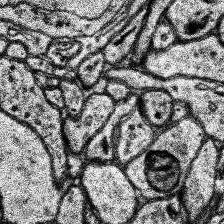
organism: Human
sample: Temporal Lobe